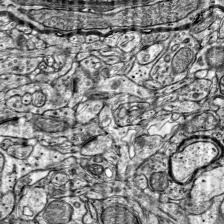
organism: Mouse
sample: Visual Cortex